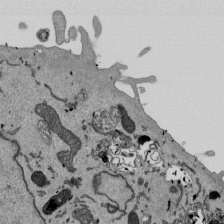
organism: Mouse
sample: ED-1 cell nuclei; centrioles